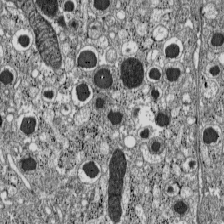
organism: C57BL Mouse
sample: Pancreatic islet